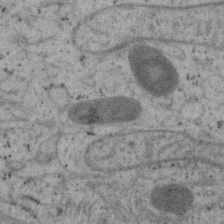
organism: Human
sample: HeLa cells